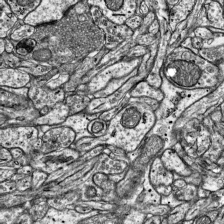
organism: Mouse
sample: Visual Cortex